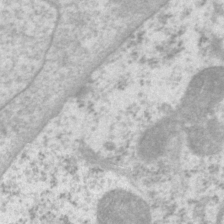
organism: P. pacificus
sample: Pharynx